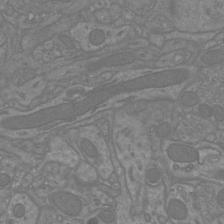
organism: Mouse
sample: Cortical neurons